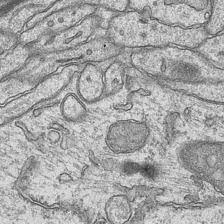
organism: Mouse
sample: CA1 Hippocampus